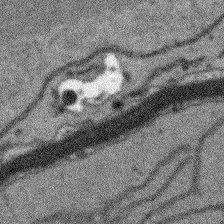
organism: Arabidopsis thaliana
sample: Root tip